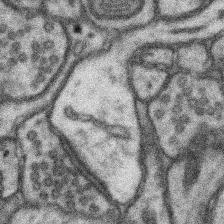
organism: Mouse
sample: Somatosensory cortex neuropil